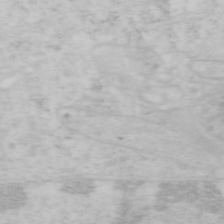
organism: Mouse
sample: OT-I killer T cells with ID8 ovarian cancer cells